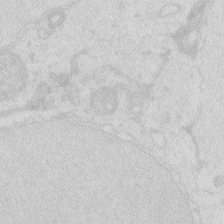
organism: Zebrafish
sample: Macrophage